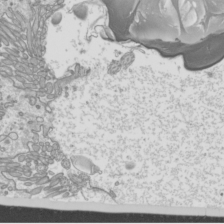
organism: Mouse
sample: Cilia; mouse epididymis